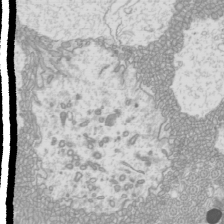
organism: Mouse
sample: Cilia; mouse epididymis